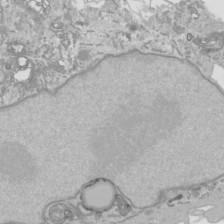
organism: Human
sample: Mitochondria in HCT116 cells